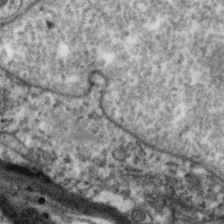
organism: Zebra finch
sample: Brain